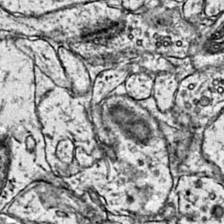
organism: Mouse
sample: Primary visual cortex